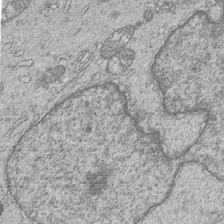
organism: Human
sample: MDA-MB-231 cells